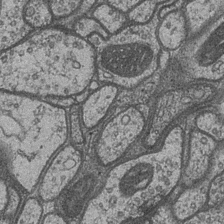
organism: Drosophila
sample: Optic medulla